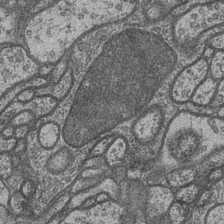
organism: Drosophila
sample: Optic medulla